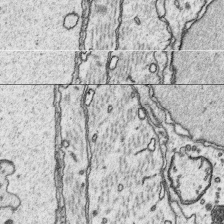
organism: Platynereis dumerilii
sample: Parapodia